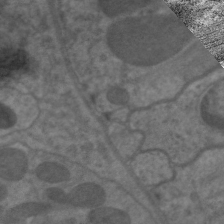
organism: C. elegans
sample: Pharynx